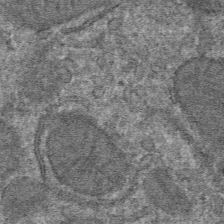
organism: Mouse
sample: Mouse hepatocytes